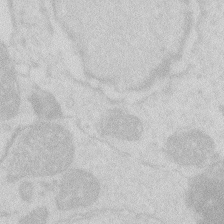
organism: Zebrafish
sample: Macrophage